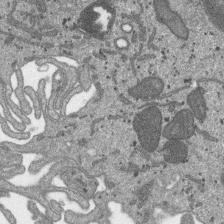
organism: Human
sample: Lung epithelial cells infected with SARS-CoV-2